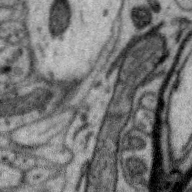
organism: Zebra finch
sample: Brain